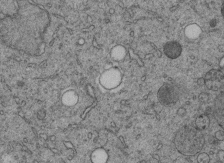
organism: C. elegans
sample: C. elegans embryo early stage